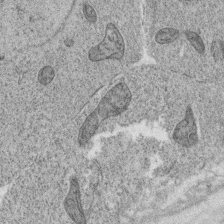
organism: C. elegans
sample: C. elegans oocyte; sperm cells